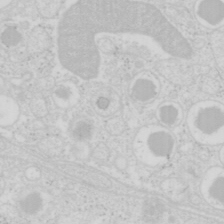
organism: Mouse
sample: Pancreas